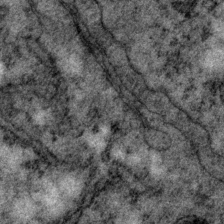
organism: P. pacificus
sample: Pharynx